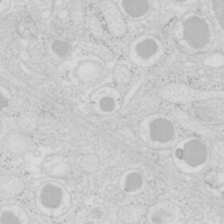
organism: Mouse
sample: Pancreas